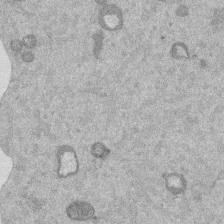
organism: Mouse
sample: Dividing mouse embryo 1 cell stage